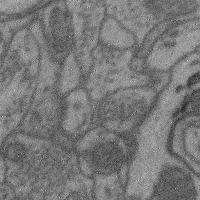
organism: Mouse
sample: Cerebral cortex